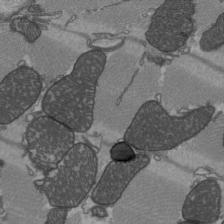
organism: C57BL Mouse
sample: Heart